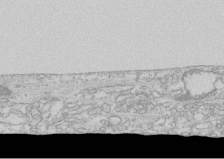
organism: Human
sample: CRL-1474